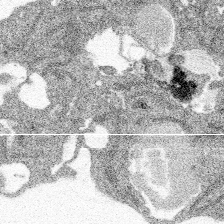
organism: Spongilla lacustris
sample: Multiple